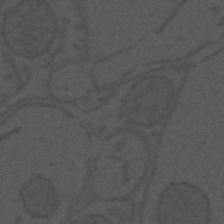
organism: Mouse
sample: Suprachiasmatic nucleus